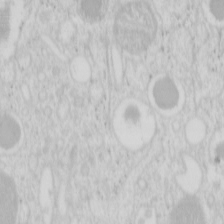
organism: Mouse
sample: Pancreas